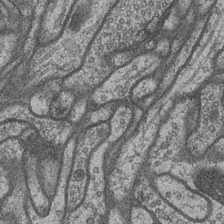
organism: Drosophila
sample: Optic medulla